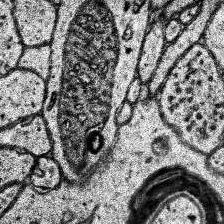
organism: Human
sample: Temporal Lobe